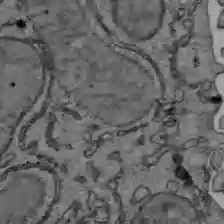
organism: C57BL Mouse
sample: Liver